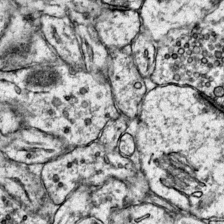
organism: Mouse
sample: Primary visual cortex